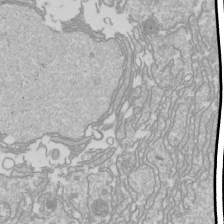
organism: Drosophila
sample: Cell division; meiosis; drosophila spermatocytes